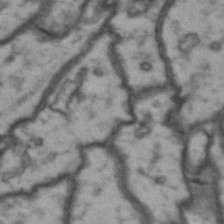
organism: Drosophila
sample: Brain